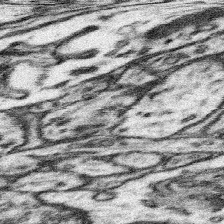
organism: Mouse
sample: Somatosensory cortex neuropil